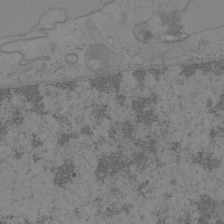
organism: Human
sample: HeLa cells